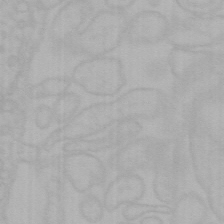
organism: Mouse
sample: Choroid plexus